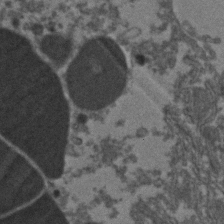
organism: Zebrafish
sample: Zebrafish embryo